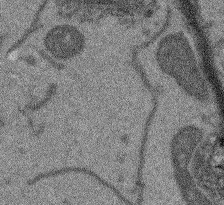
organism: Arabidopsis thaliana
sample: Root tip